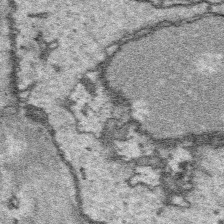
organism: Platynereis dumerilii